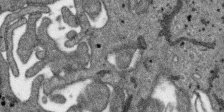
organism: Human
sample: Lung epithelial cells, uninfected (mock) control